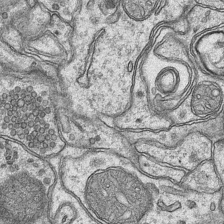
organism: Mouse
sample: CA1 Hippocampus